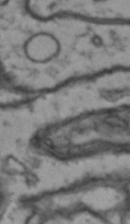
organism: Drosophila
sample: Brain